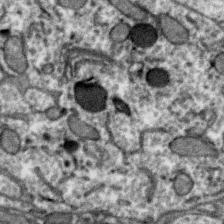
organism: Zebra finch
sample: Brain